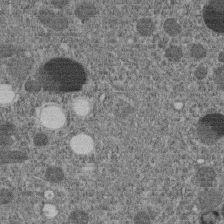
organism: C. elegans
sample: C. elegans embryo early stage